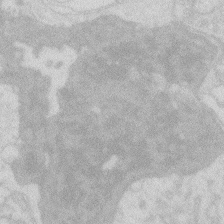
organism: Zebrafish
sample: Macrophage